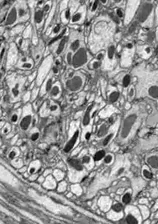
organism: Drosophila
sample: Optic lobe